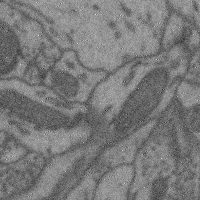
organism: Mouse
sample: Cerebral cortex